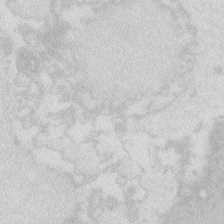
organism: Zebrafish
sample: Macrophage